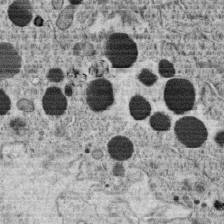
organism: C. elegans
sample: C. elegans oocyte; sperm cells